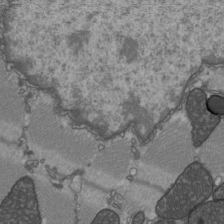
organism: C57BL Mouse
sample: Heart